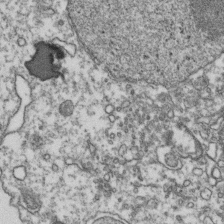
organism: Human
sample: Activated Jurkat CD4+ T cells